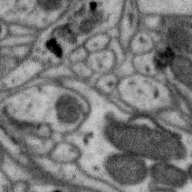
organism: Zebra finch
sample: Brain